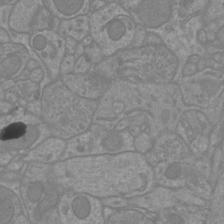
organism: Mouse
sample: Cortical neurons